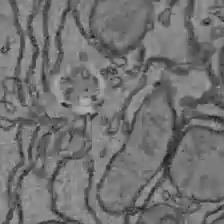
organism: C57BL Mouse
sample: Liver